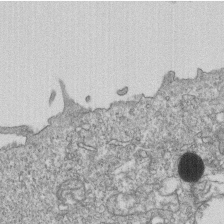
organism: Human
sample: HeLa cell HIV synapse